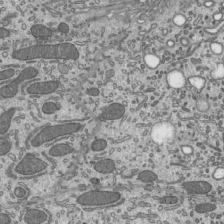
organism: Mouse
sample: Mouse epididymis efferent ductule cilia